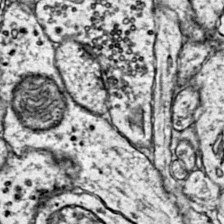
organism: Mouse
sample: Primary visual cortex